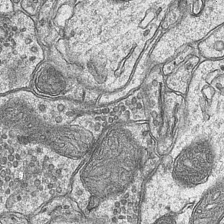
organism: Mouse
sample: CA1 Hippocampus